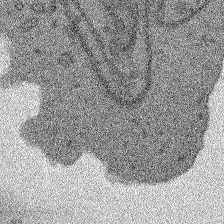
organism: Human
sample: HeLa cells